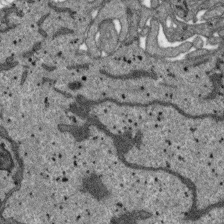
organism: Human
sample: Lung epithelial cells, uninfected (mock) control